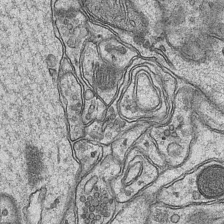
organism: Mouse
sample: CA1 Hippocampus